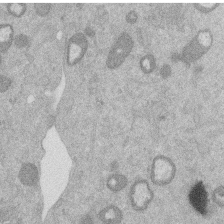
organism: Mouse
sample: Dividing mouse embryo 1 cell stage